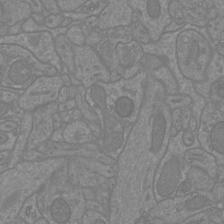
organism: Mouse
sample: Cortical neurons